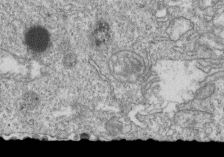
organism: Human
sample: HeLa cell HIV synapse